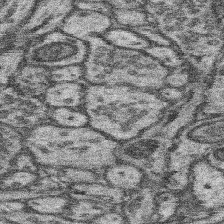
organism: Mouse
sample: Somatosensory cortex neuropil